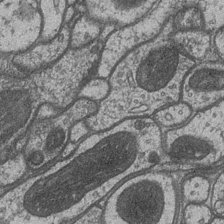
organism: Drosophila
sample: Optic medulla